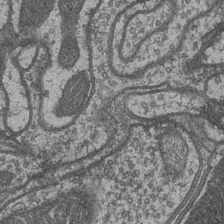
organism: Drosophila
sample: Optic medulla